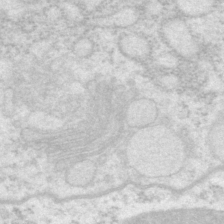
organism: P. pacificus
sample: Pharynx